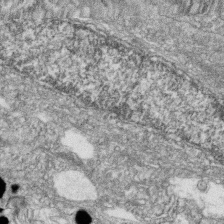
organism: Zebrafish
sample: Cilia; retinal pigment epithelium